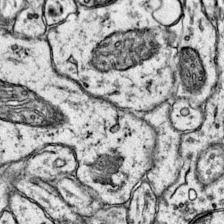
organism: Mouse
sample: Primary visual cortex